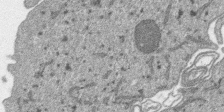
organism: Human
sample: Lung epithelial cells infected with SARS-CoV-2